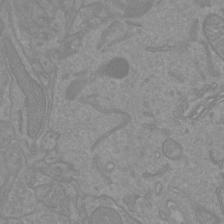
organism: Mouse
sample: Cortical neurons